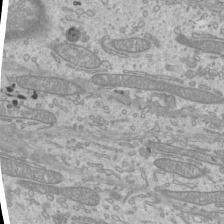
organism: Mouse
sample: Cilia; mouse epididymis